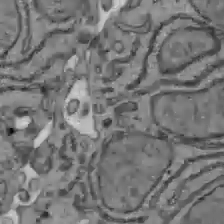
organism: C57BL Mouse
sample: Liver